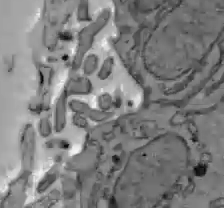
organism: C57BL Mouse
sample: Liver